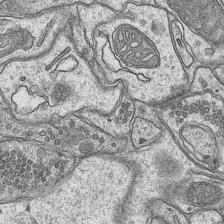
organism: Mouse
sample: CA1 Hippocampus